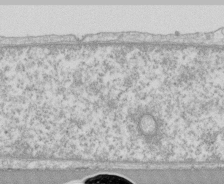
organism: Human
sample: CRL-1474